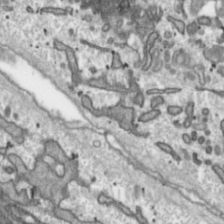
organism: Toxoplasma gondii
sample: Parasites in a vacuole inside a host cell